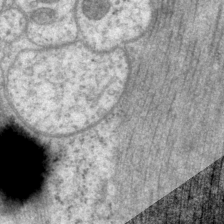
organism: P. pacificus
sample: Pharynx